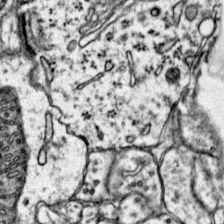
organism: Mouse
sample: Primary visual cortex